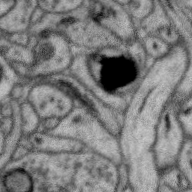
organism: Zebra finch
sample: Brain